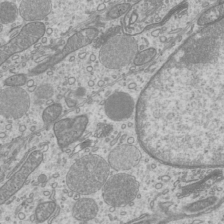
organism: Mouse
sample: Cilia; mouse epididymis